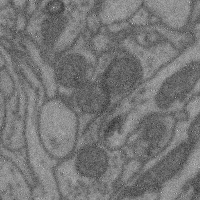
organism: Mouse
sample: Cerebral cortex